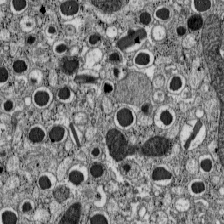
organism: C57BL Mouse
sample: Pancreatic islet